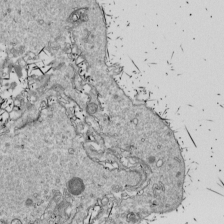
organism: Drosophila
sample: Cell division; meiosis; drosophila spermatocytes